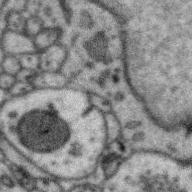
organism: Zebra finch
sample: Brain